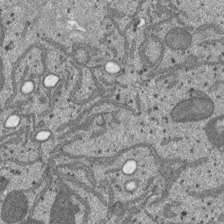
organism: Human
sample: Lung epithelial cells infected with SARS-CoV-2